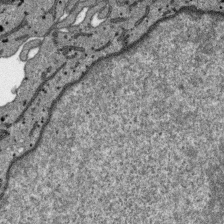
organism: Human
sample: Lung epithelial cells, uninfected (mock) control